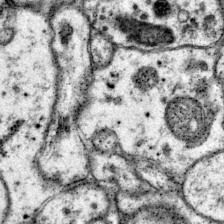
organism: Mouse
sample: Primary visual cortex